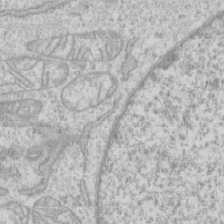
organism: Human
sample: CRL-1474